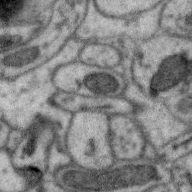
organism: Zebra finch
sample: Brain